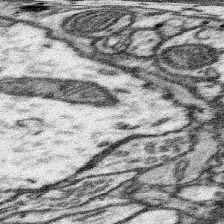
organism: Mouse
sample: Somatosensory cortex neuropil